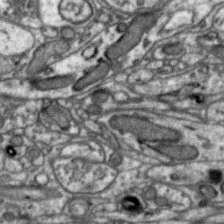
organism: Zebra finch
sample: Brain